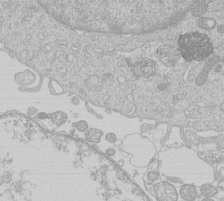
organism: Human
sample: Macrophage cells